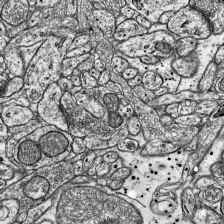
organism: Mouse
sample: Visual Cortex